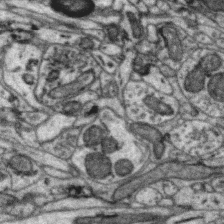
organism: Zebra finch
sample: Brain